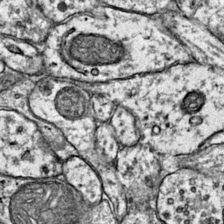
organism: Mouse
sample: Primary visual cortex